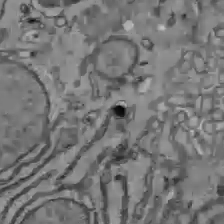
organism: C57BL Mouse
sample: Liver